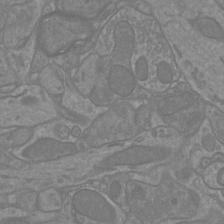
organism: Mouse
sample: Cortical neurons